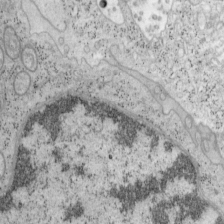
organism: Mouse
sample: OT-I killer T cells with ID8 ovarian cancer cells